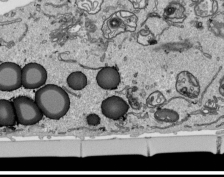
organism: Human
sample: Mitochondria in HCT116 cells